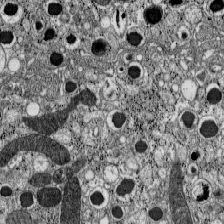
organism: C57BL Mouse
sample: Pancreatic islet